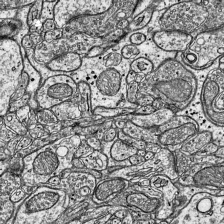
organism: Mouse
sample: Visual Cortex